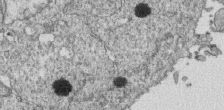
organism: Human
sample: HeLa cell HIV synapse